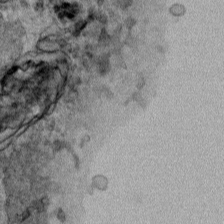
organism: Human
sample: Mitochondria in HCT116 cells